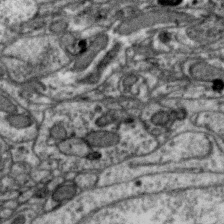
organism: Zebra finch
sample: Brain